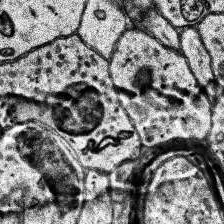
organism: Human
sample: Temporal Lobe